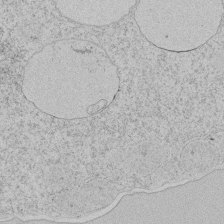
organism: Tetrahymena